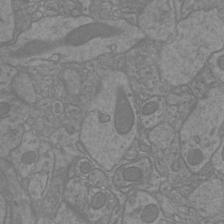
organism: Mouse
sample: Cortical neurons